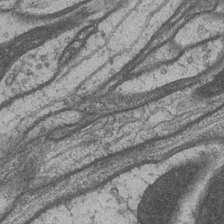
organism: Drosophila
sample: Optic medulla